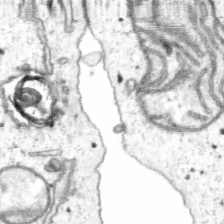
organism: Human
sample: HeLa cells